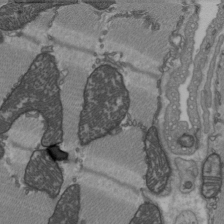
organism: C57BL Mouse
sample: Heart